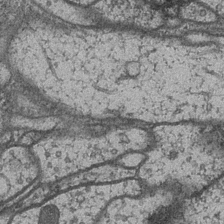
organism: Drosophila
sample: Optic medulla